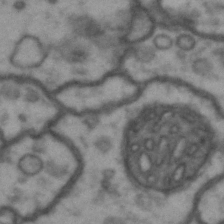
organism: Drosophila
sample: Brain